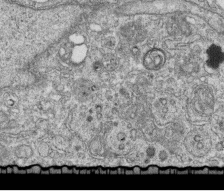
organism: Human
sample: HeLa cell HIV synapse